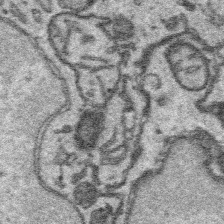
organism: Platynereis dumerilii